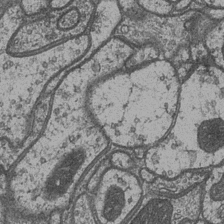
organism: Drosophila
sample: Optic medulla